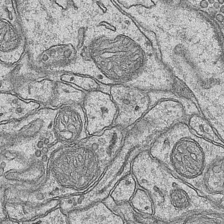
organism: Mouse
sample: CA1 Hippocampus